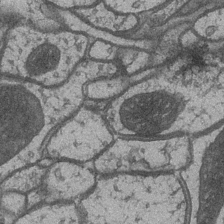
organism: Drosophila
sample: Optic medulla